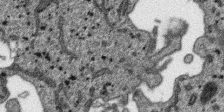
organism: Human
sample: Lung epithelial cells infected with SARS-CoV-2